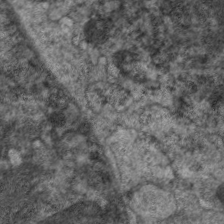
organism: C. elegans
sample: Pharynx